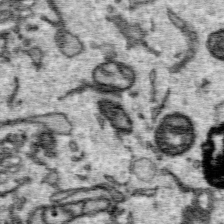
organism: Human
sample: HeLa cells